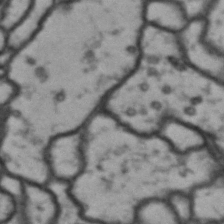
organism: Drosophila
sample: Brain